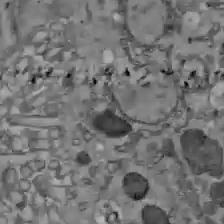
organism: C57BL Mouse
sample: Liver